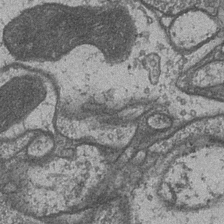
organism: Drosophila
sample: Optic medulla